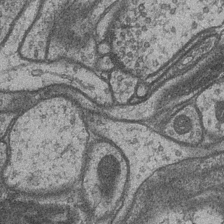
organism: Drosophila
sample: Optic medulla